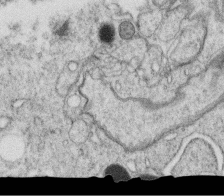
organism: C. elegans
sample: C. elegans oocyte; sperm cells